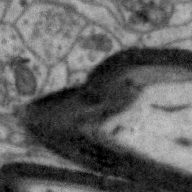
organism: Zebra finch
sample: Brain